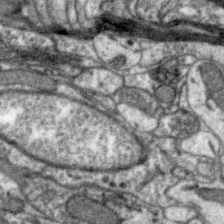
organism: Zebra finch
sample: Brain